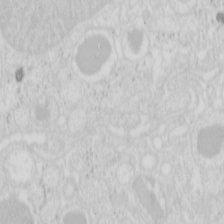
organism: Mouse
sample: Pancreas